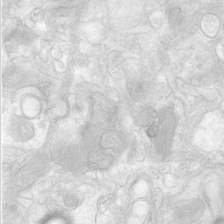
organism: Human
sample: Neocortex